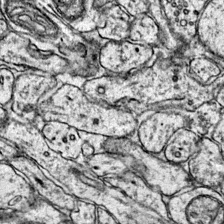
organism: Mouse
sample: Primary visual cortex